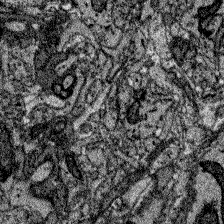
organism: Zebrafish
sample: Larval olfactory bulb